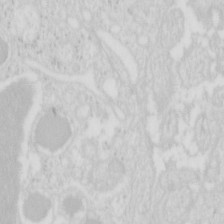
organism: Mouse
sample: Pancreas